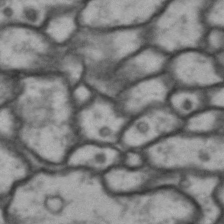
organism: Drosophila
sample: Brain